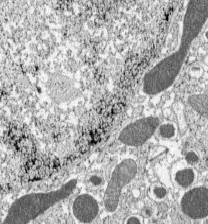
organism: C57BL Mouse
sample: Pancreatic islet